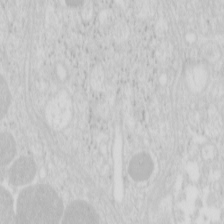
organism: Mouse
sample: Pancreas